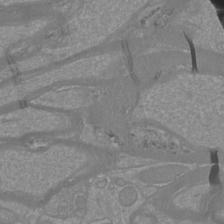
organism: Mouse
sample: Cortical neurons